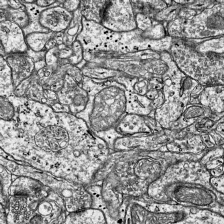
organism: Mouse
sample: Visual Cortex